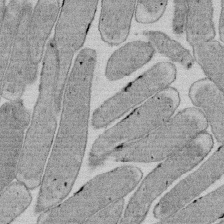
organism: E. coli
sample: Bacterial nucleoid